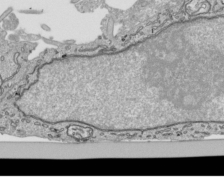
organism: Human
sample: Mitochondria in HCT116 cells